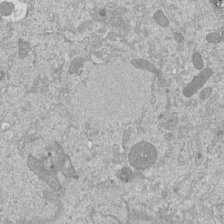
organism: Mouse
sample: ED-1 cell nuclei; centrioles